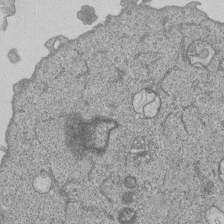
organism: Human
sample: MDA-MB-231 cells